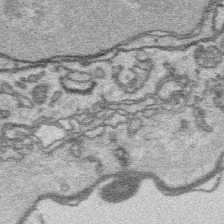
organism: Platynereis dumerilii